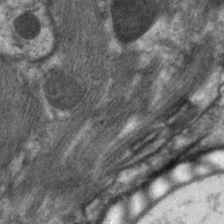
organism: C. elegans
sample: Pharynx